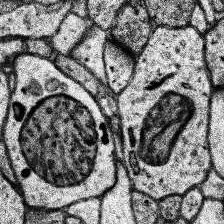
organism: Human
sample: Temporal Lobe